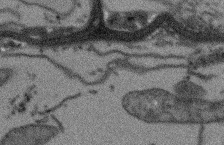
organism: Arabidopsis thaliana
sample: Root tip